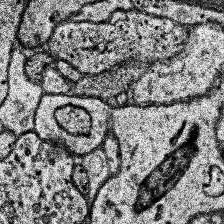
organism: Human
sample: Temporal Lobe